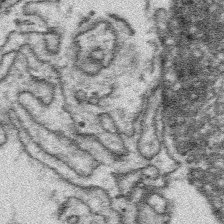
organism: Platynereis dumerilii